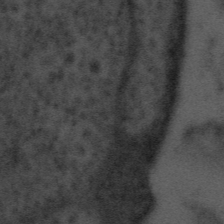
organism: Tuwongella immobilis